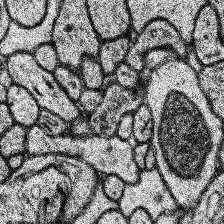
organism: Human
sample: Temporal Lobe